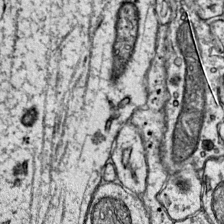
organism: Mouse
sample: Primary visual cortex